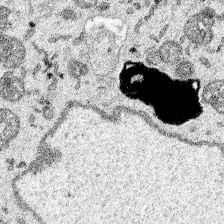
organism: Spongilla lacustris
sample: Multiple